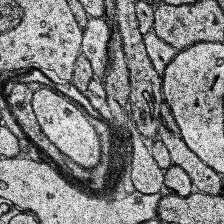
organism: Human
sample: Temporal Lobe